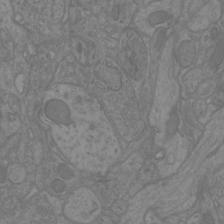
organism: Mouse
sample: Cortical neurons